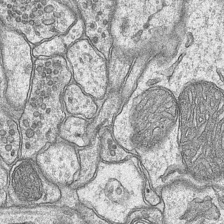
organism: Mouse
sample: CA1 Hippocampus